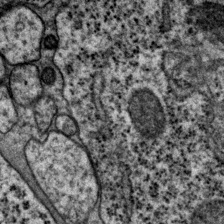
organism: P. pacificus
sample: Pharynx